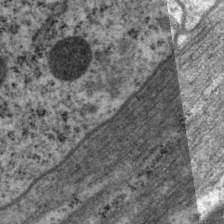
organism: P. pacificus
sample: Pharynx